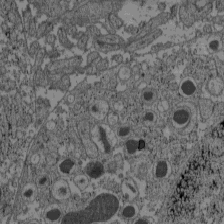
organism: C57BL Mouse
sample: Pancreatic islet